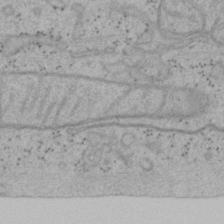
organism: Human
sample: HeLa cells